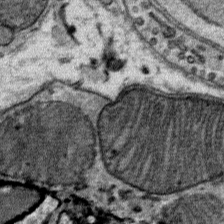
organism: Mouse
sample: Mouse Salivary gland